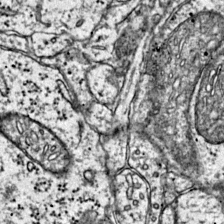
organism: Mouse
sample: Primary visual cortex